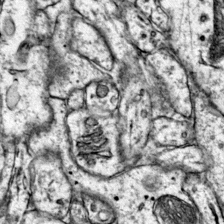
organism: Mouse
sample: Primary visual cortex